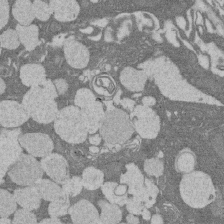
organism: Rat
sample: Salivary granule